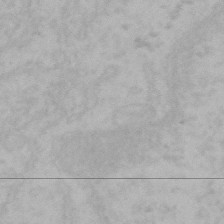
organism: Mouse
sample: Choroid plexus